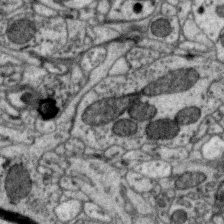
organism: Zebra finch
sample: Brain